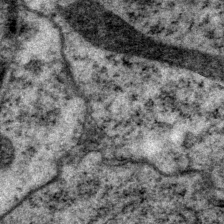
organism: P. pacificus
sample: Pharynx